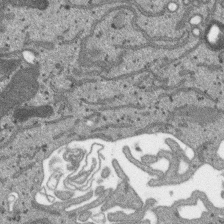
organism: Human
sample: Lung epithelial cells infected with SARS-CoV-2